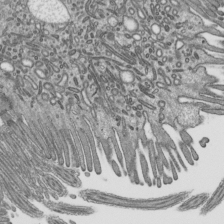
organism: Mouse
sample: Mouse epididymis efferent ductule cilia